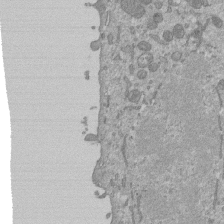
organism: Mouse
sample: ED-1 cell nuclei; centrioles